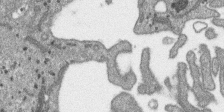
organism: Human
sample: Lung epithelial cells infected with SARS-CoV-2